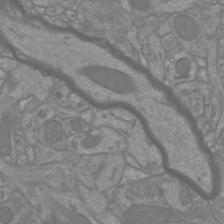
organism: Mouse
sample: Cortical neurons